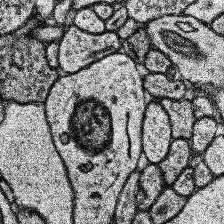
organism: Human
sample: Temporal Lobe